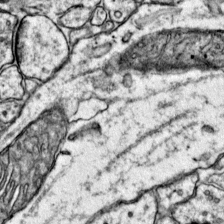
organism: Mouse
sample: Primary visual cortex